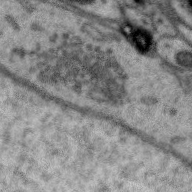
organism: Zebra finch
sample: Brain